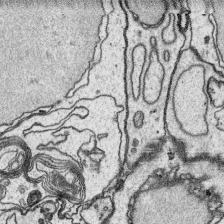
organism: Platynereis dumerilii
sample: Parapodia